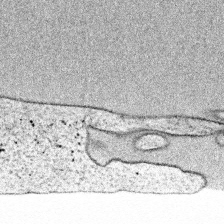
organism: Human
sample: HeLa cells